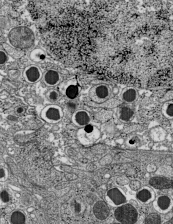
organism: C57BL Mouse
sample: Pancreatic islet